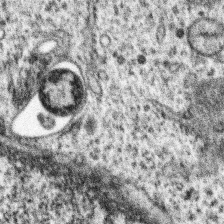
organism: Human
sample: HeLa cells